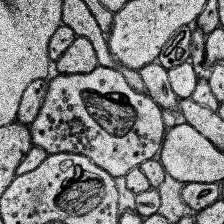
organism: Human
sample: Temporal Lobe